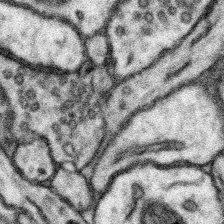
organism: Mouse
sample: Somatosensory cortex neuropil